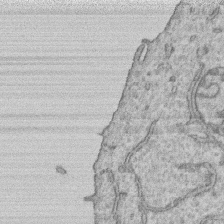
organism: Human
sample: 1205lu cells